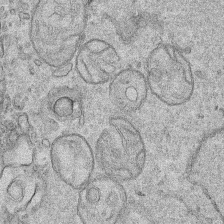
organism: Human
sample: Mitochondria in HCT116 cells